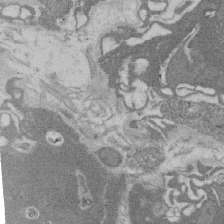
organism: Rat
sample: Salivary granule